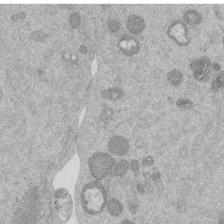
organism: Mouse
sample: Dividing mouse embryo 1 cell stage